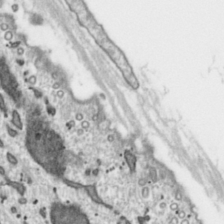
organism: Toxoplasma gondii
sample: Parasites in a vacuole inside a host cell